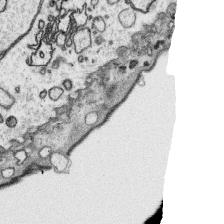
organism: Platynereis dumerilii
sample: Parapodia